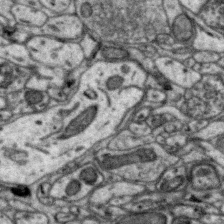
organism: Zebra finch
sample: Brain